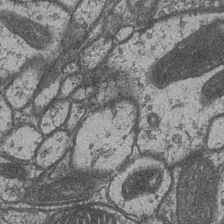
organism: Drosophila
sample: Optic medulla